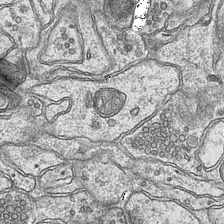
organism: Mouse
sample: CA1 Hippocampus